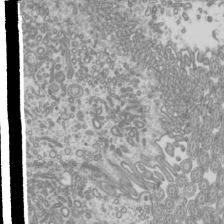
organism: Mouse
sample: Cilia; mouse epididymis